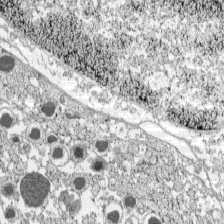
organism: C57BL Mouse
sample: Pancreatic islet